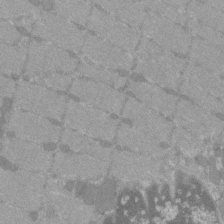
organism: C57BL Mouse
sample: Tibialis anterior muscle cell